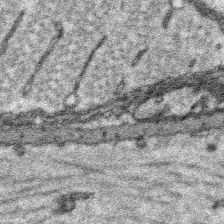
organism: Platynereis dumerilii